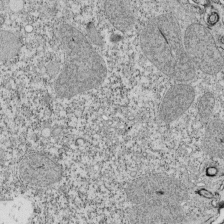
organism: Tetrahymena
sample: Cilia in tetrahymena